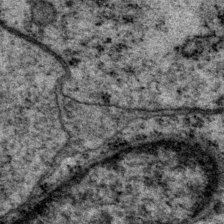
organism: P. pacificus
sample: Pharynx